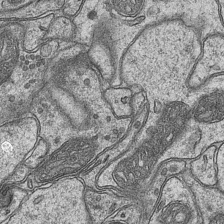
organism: Mouse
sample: CA1 Hippocampus